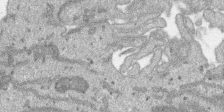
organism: Human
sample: Lung epithelial cells infected with SARS-CoV-2